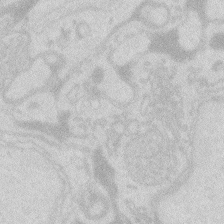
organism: Zebrafish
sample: Macrophage